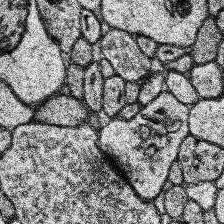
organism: Human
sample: Temporal Lobe